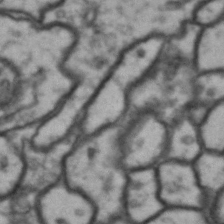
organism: Drosophila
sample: Brain